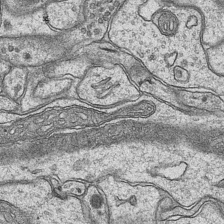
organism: Mouse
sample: CA1 Hippocampus